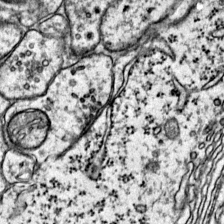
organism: Mouse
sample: Primary visual cortex